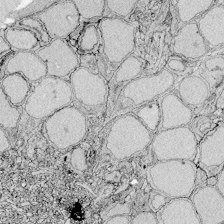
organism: Zebrafish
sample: Whole-Brain